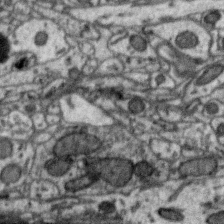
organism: Zebra finch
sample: Brain